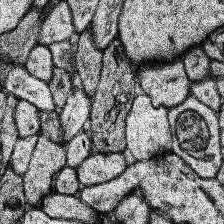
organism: Human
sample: Temporal Lobe